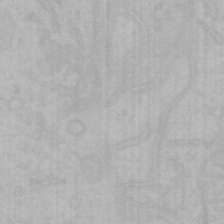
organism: Mouse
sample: Choroid plexus